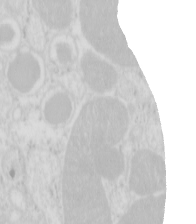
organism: Mouse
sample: Pancreas